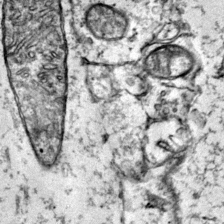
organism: Mouse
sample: Primary visual cortex